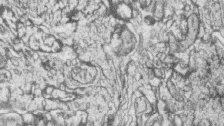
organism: Zebrafish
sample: synaptic ribbons in rod cells and cone cells